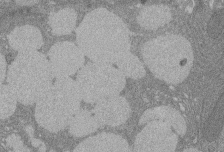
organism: Rat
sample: Salivary granule